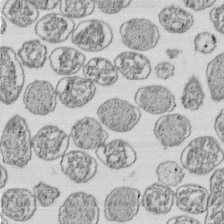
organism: E. coli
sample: Bacterial nucleoid